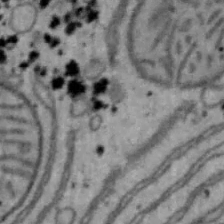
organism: Mouse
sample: Liver